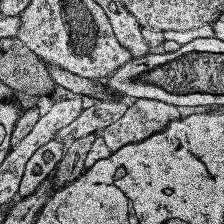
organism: Human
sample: Temporal Lobe